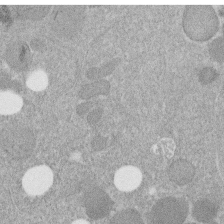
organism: C. elegans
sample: C. elegans embryo early stage